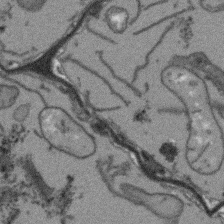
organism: Arabidopsis thaliana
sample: Root tip